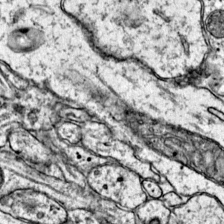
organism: Mouse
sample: Primary visual cortex